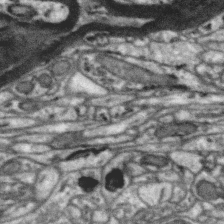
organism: Zebra finch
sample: Brain